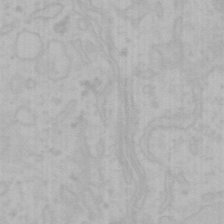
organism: Mouse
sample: Choroid plexus